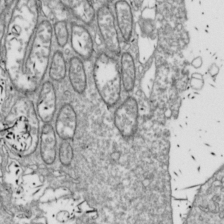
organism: Drosophila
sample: Cell division; meiosis; drosophila spermatocytes